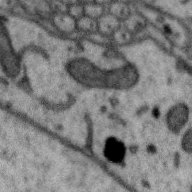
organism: Zebra finch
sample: Brain